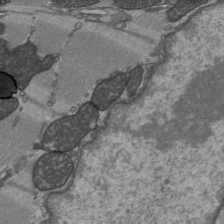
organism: C57BL Mouse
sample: Heart